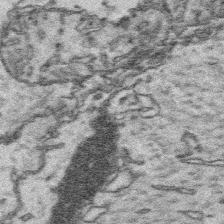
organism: Platynereis dumerilii